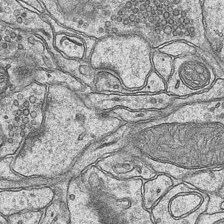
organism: Mouse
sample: CA1 Hippocampus